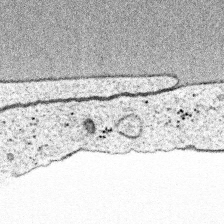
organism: Human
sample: HeLa cells